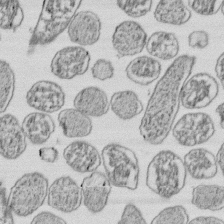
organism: E. coli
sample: Bacterial nucleoid